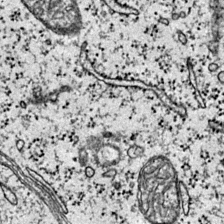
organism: Mouse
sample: Primary visual cortex